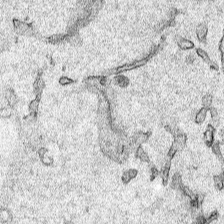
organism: Human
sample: Mitochondria in HCT116 cells